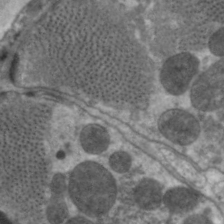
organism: C. elegans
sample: Pharynx